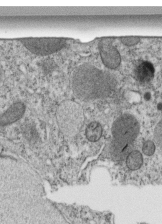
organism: C. elegans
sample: C. elegans embryo early stage